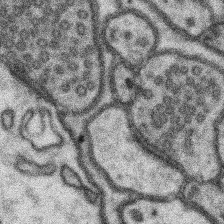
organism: Mouse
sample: Somatosensory cortex neuropil